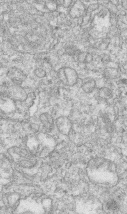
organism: Human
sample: HeLa cell HIV synapse